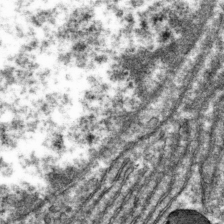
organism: Mouse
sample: Mouse hepatocytes